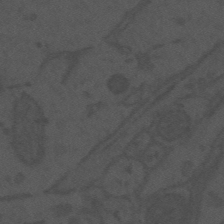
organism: Mouse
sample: Suprachiasmatic nucleus